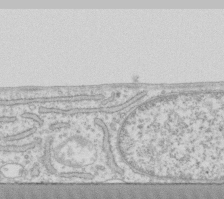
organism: Human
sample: Fibroblast cells